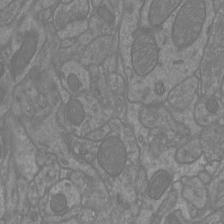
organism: Mouse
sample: Cortical neurons